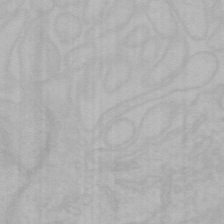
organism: Mouse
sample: Choroid plexus